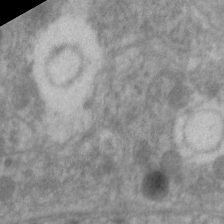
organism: C. elegans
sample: Pharynx